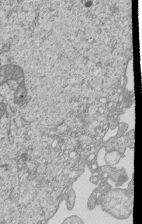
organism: Human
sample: MDA-MB-231 cells